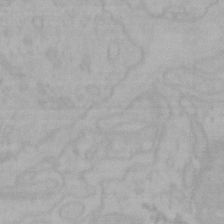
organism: Mouse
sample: Choroid plexus